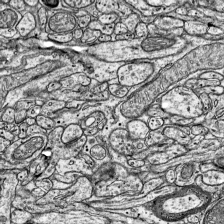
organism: Mouse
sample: Visual Cortex